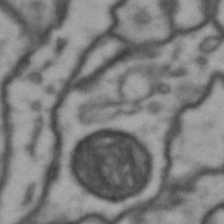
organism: Drosophila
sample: Brain